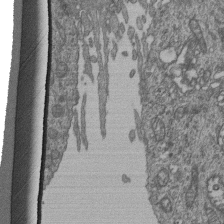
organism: Human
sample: Retinal organoid Rod and Cone cells